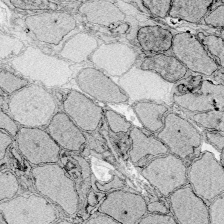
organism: Zebrafish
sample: Whole-Brain